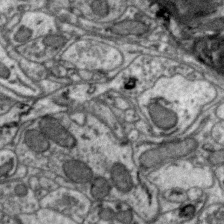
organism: Zebra finch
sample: Brain